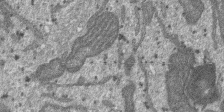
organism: Human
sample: Lung epithelial cells infected with SARS-CoV-2